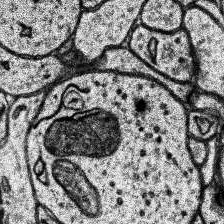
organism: Human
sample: Temporal Lobe